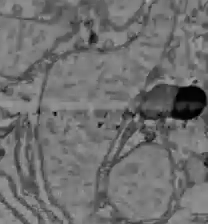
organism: C57BL Mouse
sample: Liver